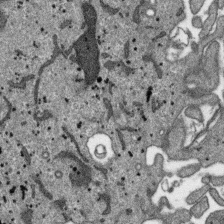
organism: Human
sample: Lung epithelial cells, uninfected (mock) control